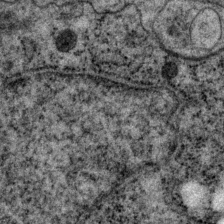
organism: P. pacificus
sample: Pharynx